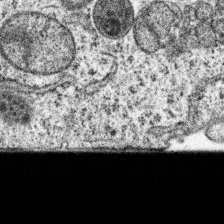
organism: Human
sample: HeLa cells